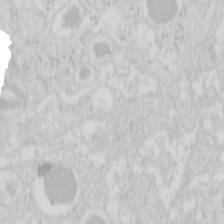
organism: Mouse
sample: Pancreas